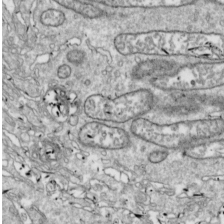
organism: Drosophila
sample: Cell division; meiosis; drosophila spermatocytes